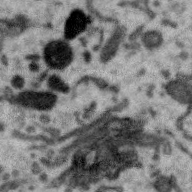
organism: Zebra finch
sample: Brain